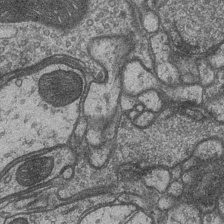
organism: Drosophila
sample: Optic medulla